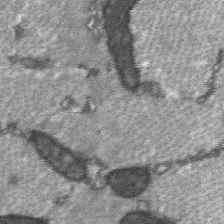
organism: C57BL Mouse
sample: Soleus